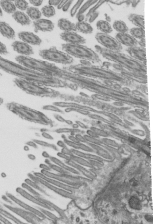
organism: Mouse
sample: Mouse epididymis efferent ductule cilia